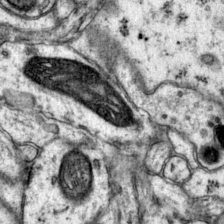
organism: Mouse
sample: Primary visual cortex